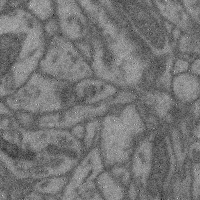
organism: Mouse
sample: Cerebral cortex